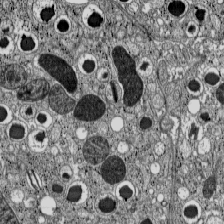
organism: C57BL Mouse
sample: Pancreatic islet